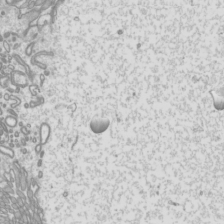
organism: Mouse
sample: Cilia; mouse epididymis